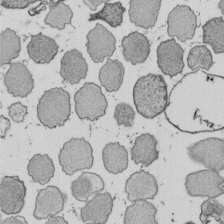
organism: E. coli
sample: Bacterial nucleoid